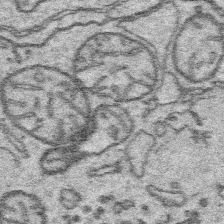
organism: Platynereis dumerilii